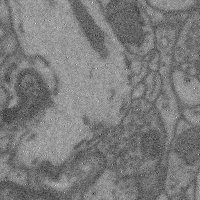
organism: Mouse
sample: Cerebral cortex